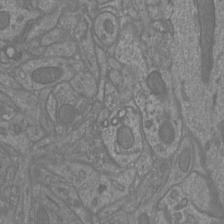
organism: Mouse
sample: Cortical neurons